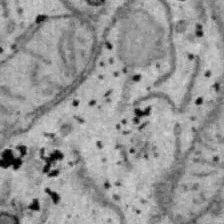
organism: Mouse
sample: Liver from an obese (ob/ob) mouse